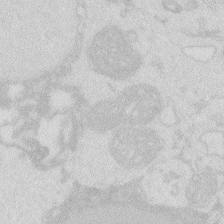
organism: Zebrafish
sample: Macrophage